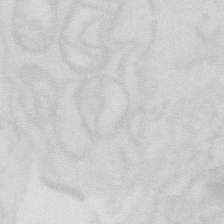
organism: Human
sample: HeLa cells